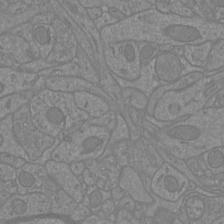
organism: Mouse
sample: Cortical neurons